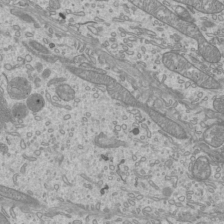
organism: Mouse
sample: Cilia; mouse epididymis